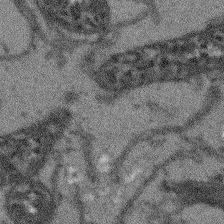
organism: Arabidopsis thaliana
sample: Root tip